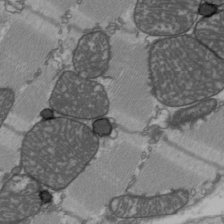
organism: C57BL Mouse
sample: Heart